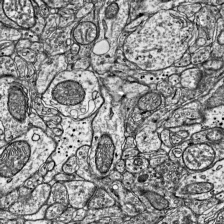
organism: Mouse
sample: Visual Cortex